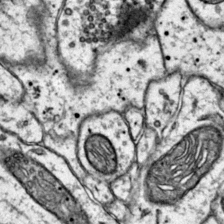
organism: Mouse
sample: Primary visual cortex